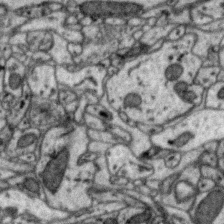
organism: Zebra finch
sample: Brain